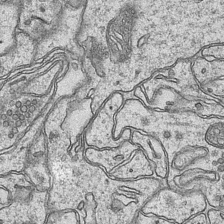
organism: Mouse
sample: CA1 Hippocampus